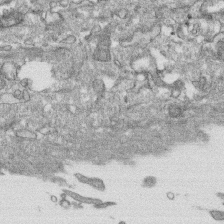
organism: Human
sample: CRL-1474